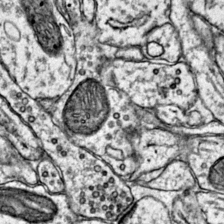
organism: Mouse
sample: Primary visual cortex